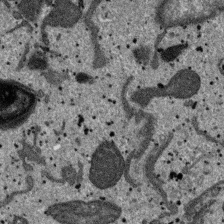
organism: Human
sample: Lung epithelial cells, uninfected (mock) control